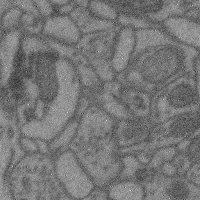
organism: Mouse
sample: Cerebral cortex